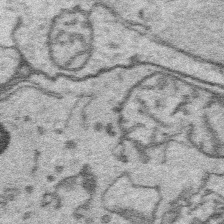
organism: Platynereis dumerilii